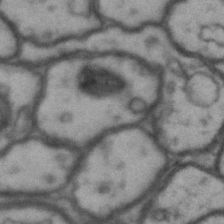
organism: Drosophila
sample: Brain